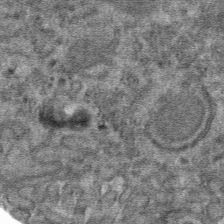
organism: Mouse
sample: Mouse hepatocytes